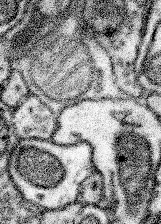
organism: Mouse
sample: Somatosensory cortex neuropil